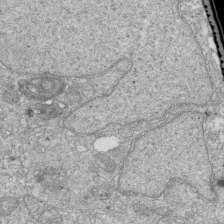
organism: Human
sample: HeLa cell HIV synapse